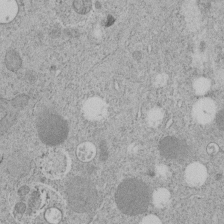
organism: C. elegans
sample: C. elegans embryo early stage